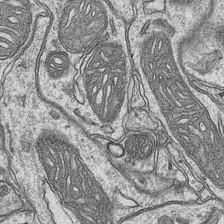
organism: Mouse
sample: CA1 Hippocampus